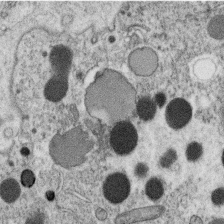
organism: C. elegans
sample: C. elegans oocyte; sperm cells